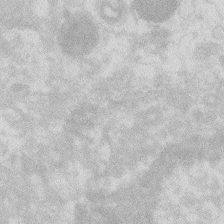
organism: Zebrafish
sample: Macrophage